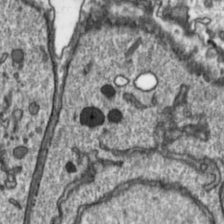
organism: Toxoplasma gondii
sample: Parasites in a vacuole inside a host cell